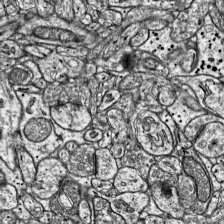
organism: Mouse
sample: Visual Cortex